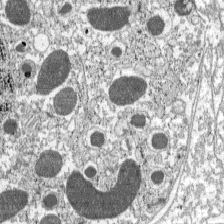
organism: C57BL Mouse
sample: Pancreatic islet